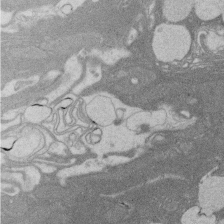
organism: Rat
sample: Salivary granule